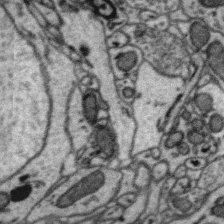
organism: Zebra finch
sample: Brain